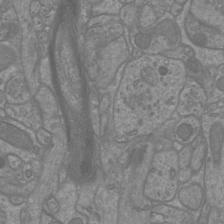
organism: Mouse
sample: Cortical neurons